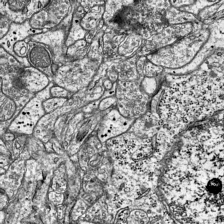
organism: Mouse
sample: Visual Cortex